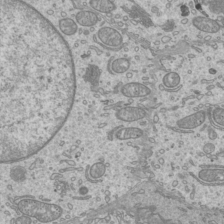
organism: Mouse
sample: Cilia; mouse epididymis